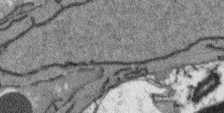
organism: Arabidopsis thaliana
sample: Root tip